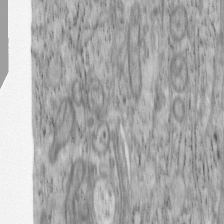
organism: Human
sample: HeLa cells